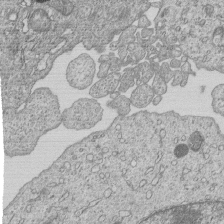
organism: Human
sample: MDA-MB-231 cells